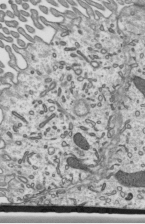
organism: Mouse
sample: Mouse epididymis efferent ductule cilia